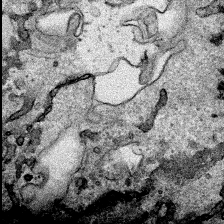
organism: Human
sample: Mitochondria in HCT116 cells